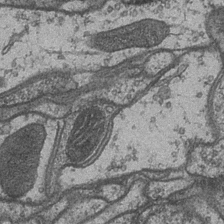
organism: Drosophila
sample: Optic medulla